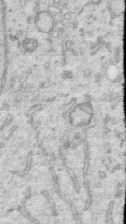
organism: Human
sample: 1205lu cells